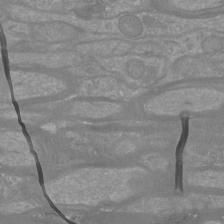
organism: Mouse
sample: Cortical neurons